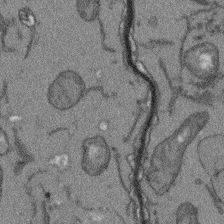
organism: Arabidopsis thaliana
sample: Root tip